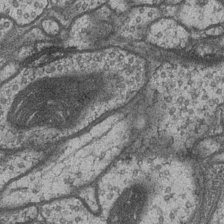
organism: Drosophila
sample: Optic medulla